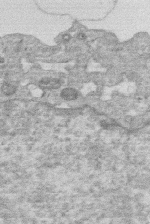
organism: Human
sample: Macrophage cells